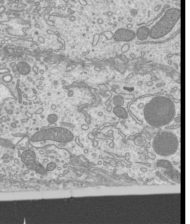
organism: Mouse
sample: Cilia; mouse epididymis